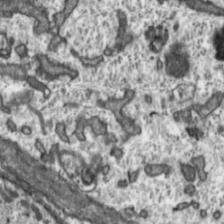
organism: Toxoplasma gondii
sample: Parasites in a vacuole inside a host cell